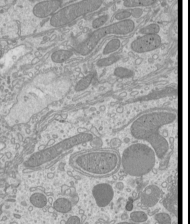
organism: Mouse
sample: Cilia; mouse epididymis